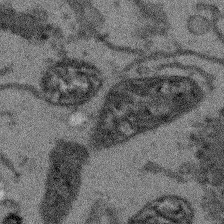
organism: Arabidopsis thaliana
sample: Root tip